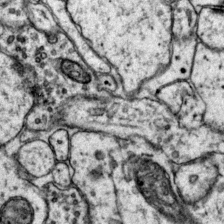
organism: Mouse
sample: Primary visual cortex